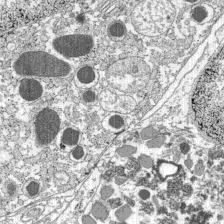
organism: C57BL Mouse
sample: Pancreatic islet